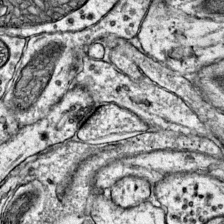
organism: Mouse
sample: Primary visual cortex